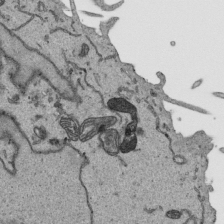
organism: Human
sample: Mitochondria in HCT116 cells